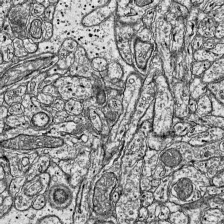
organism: Mouse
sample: Visual Cortex